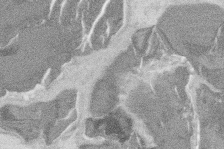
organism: Mouse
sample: T cell stromal cell synapse